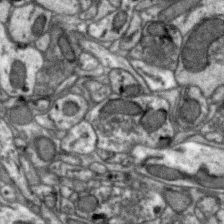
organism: Zebra finch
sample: Brain